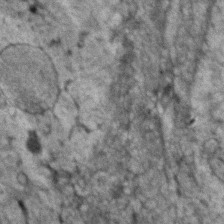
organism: Human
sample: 1205lu cells